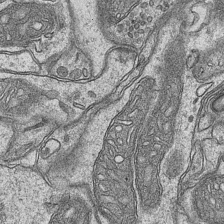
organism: Mouse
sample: CA1 Hippocampus